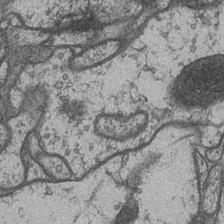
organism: Drosophila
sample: Optic medulla